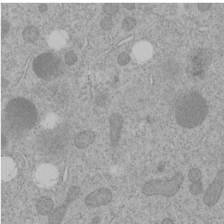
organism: C. elegans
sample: C. elegans embryo early stage